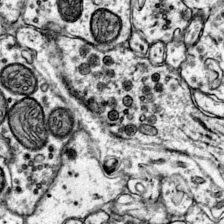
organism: Mouse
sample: Primary visual cortex